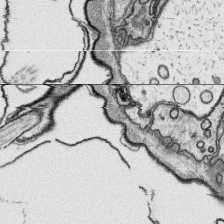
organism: Platynereis dumerilii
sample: Parapodia